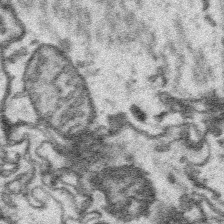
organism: Platynereis dumerilii